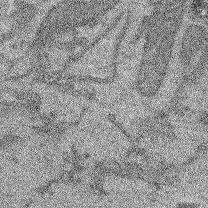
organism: Human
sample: HeLa cells